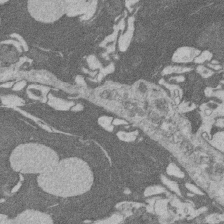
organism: Rat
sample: Salivary granule